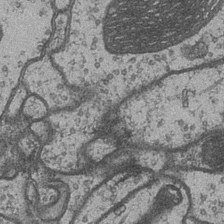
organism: Drosophila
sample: Optic medulla